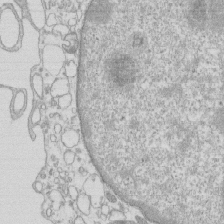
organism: Mouse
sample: Macrophages